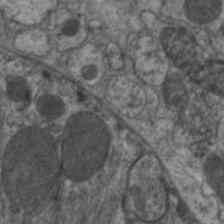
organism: C. elegans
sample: Pharynx